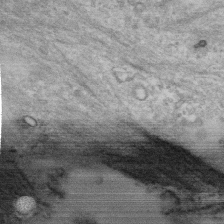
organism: Human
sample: Centriole in RPE cells